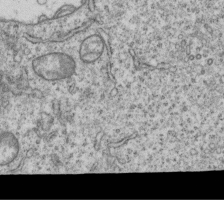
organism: Human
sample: MDA-MB-231 cells